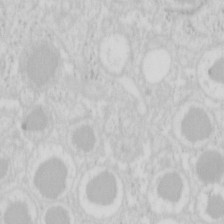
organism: Mouse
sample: Pancreas